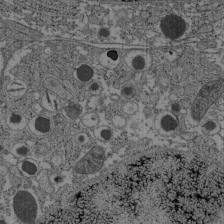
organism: C57BL Mouse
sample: Pancreatic islet